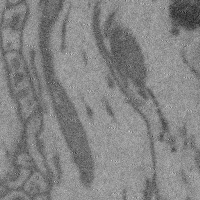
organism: Mouse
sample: Cerebral cortex